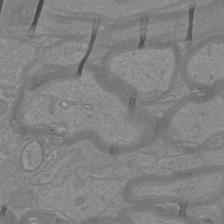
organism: Mouse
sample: Cortical neurons